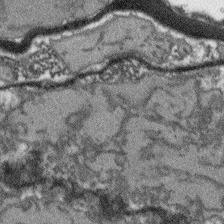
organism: Arabidopsis thaliana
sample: Root tip